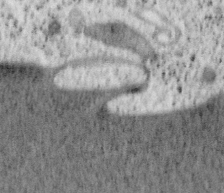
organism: Mouse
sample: OT-I killer T cells with ID8 ovarian cancer cells